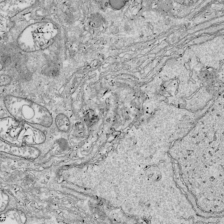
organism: Drosophila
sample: Cell division; meiosis; drosophila spermatocytes